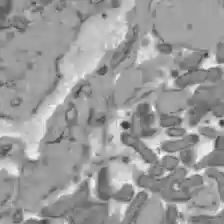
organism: C57BL Mouse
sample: Liver